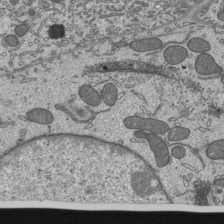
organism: Mouse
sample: Mouse epididymis efferent ductule cilia